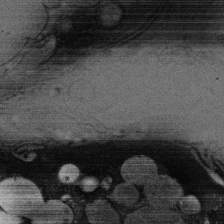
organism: Rat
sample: Salivary granule